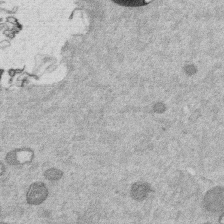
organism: Mouse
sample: Dividing mouse embryo 1 cell stage